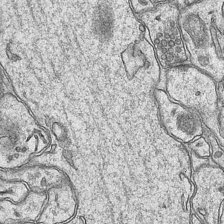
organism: Mouse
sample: CA1 Hippocampus